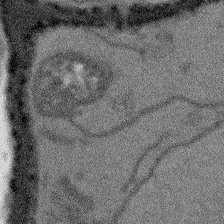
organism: Arabidopsis thaliana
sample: Root tip